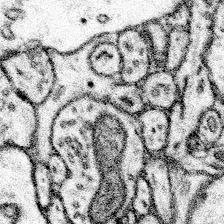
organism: Mouse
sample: Somatosensory cortex neuropil